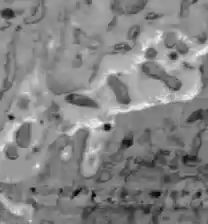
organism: C57BL Mouse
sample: Liver